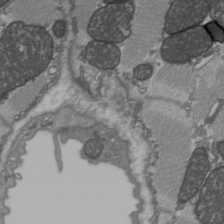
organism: C57BL Mouse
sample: Heart